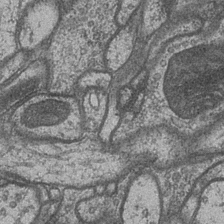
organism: Drosophila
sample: Optic medulla